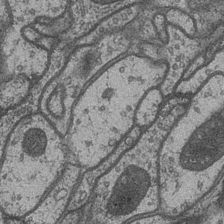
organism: Drosophila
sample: Optic medulla